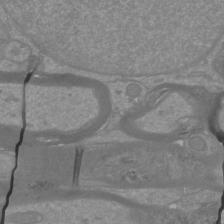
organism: Mouse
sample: Cortical neurons